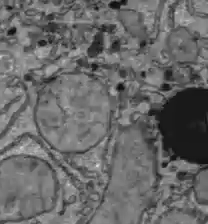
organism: C57BL Mouse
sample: Liver